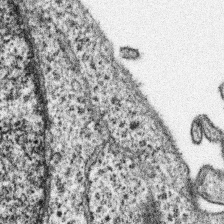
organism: Human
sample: HeLa cells